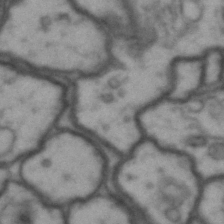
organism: Drosophila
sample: Brain